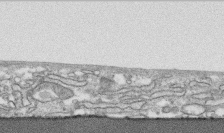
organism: Human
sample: CRL-1474